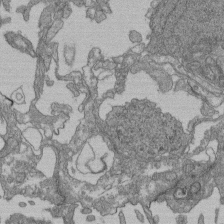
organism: Human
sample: Retinal organoid Rod and Cone cells